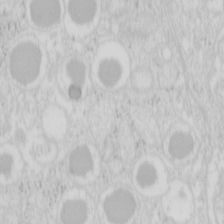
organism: Mouse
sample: Pancreas